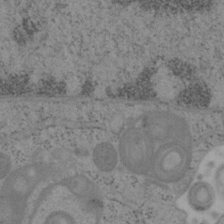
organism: Mouse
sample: OT-I killer T cells with ID8 ovarian cancer cells